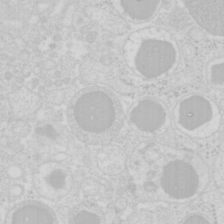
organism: Mouse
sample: Pancreas